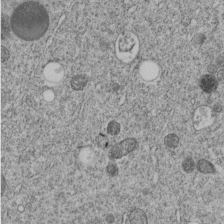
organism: C. elegans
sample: C. elegans embryo early stage